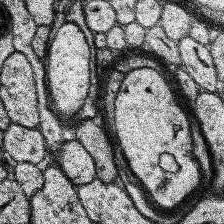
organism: Human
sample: Temporal Lobe